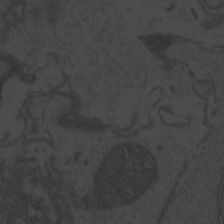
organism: Zebrafish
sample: Macrophage infected with Toxoplasma gondii